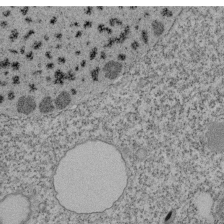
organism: Tetrahymena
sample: Cilia in tetrahymena